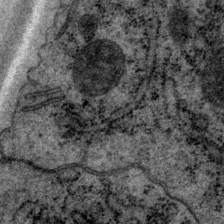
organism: P. pacificus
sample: Pharynx